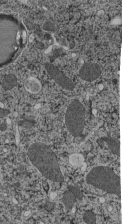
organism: C. elegans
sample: C. elegans pharynx